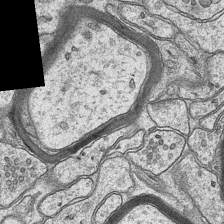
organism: Mouse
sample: CA1 Hippocampus